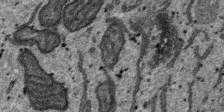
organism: Human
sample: Lung epithelial cells, uninfected (mock) control